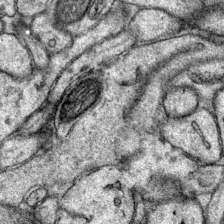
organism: Mouse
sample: Primary visual cortex